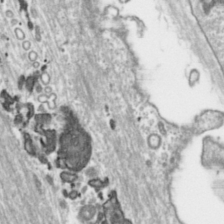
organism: Toxoplasma gondii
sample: Parasites in a vacuole inside a host cell